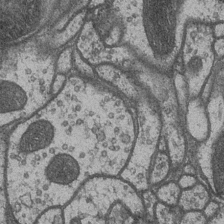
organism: Drosophila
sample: Optic medulla